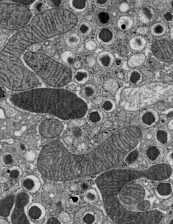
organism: C57BL Mouse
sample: Pancreatic islet